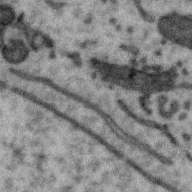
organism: Zebra finch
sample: Brain